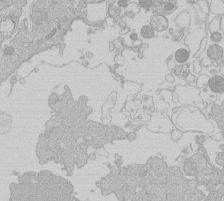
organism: Human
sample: Macrophage cells